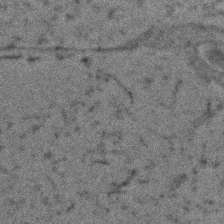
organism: Zebrafish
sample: Zebrafish embryo